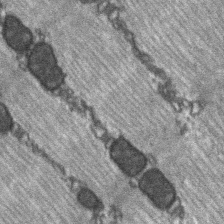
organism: C57BL Mouse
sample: Soleus